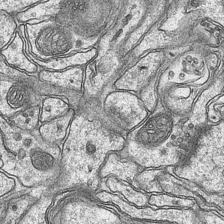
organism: Mouse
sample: CA1 Hippocampus